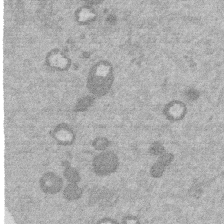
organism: Mouse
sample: Dividing mouse embryo 1 cell stage